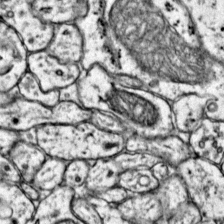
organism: Mouse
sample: Primary visual cortex